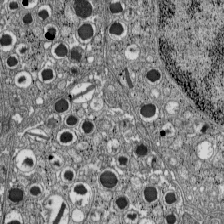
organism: C57BL Mouse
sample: Pancreatic islet